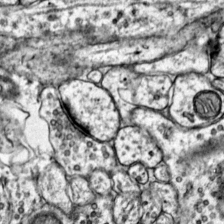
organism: Mouse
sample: Primary visual cortex